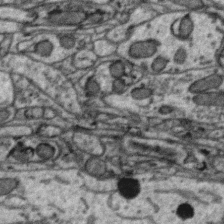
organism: Zebra finch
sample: Brain